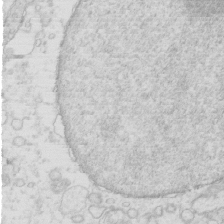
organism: Mouse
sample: Multiciliated cells